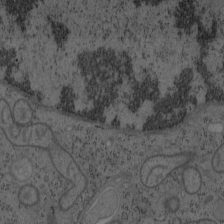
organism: Mouse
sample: OT-I killer T cells with ID8 ovarian cancer cells